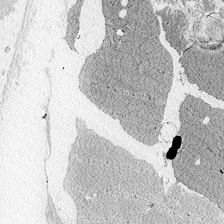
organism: Zebrafish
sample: Whole-Brain